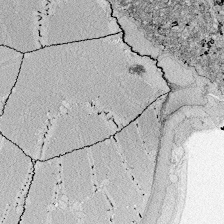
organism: Zebrafish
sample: Whole-Brain